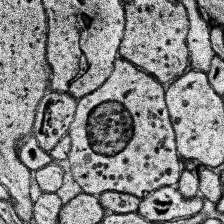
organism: Human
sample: Temporal Lobe